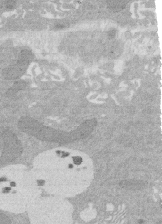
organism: Rat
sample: Salivary granule